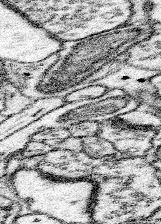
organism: Mouse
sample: Somatosensory cortex neuropil